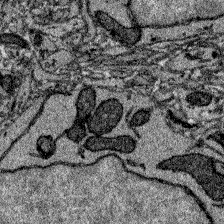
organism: Zebrafish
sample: Larval olfactory bulb